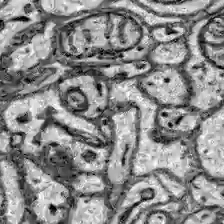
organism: Zebrafish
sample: Brain